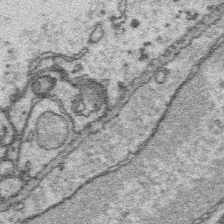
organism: Platynereis dumerilii